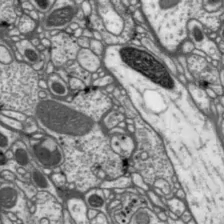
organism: Drosophila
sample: Protocerebral bridge